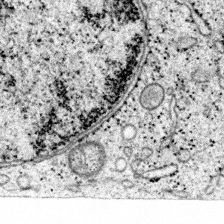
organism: Human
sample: HeLa cells